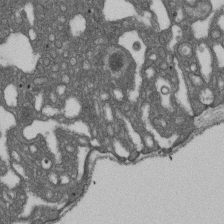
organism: Drosophila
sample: Nephrocyte